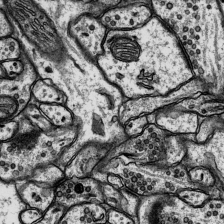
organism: Rat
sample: Hippocampus